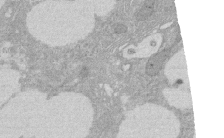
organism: Rat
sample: Salivary granule